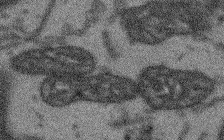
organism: Arabidopsis thaliana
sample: Root tip